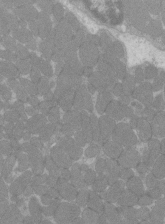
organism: C57BL Mouse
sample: Tibialis anterior muscle cell